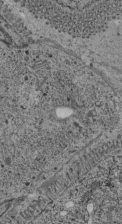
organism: C. elegans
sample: C. elegans pharynx